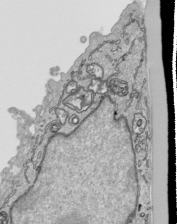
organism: Human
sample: Mitochondria in HCT116 cells